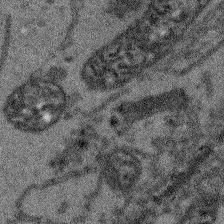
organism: Arabidopsis thaliana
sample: Root tip